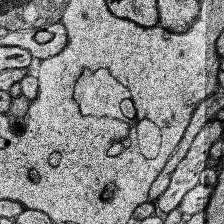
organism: Human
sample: Temporal Lobe